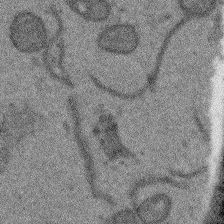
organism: Arabidopsis thaliana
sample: Root tip